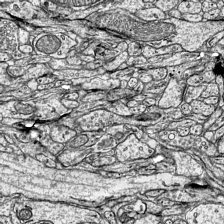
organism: Mouse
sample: Visual Cortex